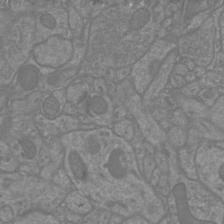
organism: Mouse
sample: Cortical neurons